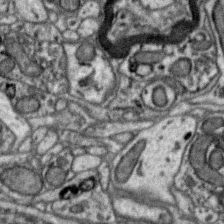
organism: Zebra finch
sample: Brain